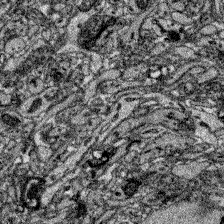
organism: Zebrafish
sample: Larval olfactory bulb